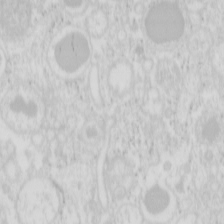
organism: Mouse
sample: Pancreas